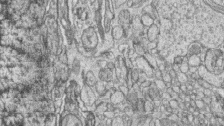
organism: Zebrafish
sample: synaptic ribbons in rod cells and cone cells